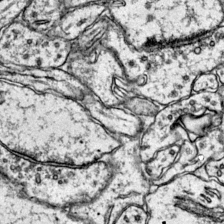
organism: Mouse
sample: Primary visual cortex